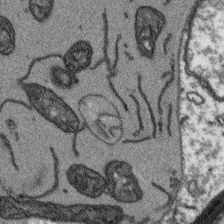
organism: Arabidopsis thaliana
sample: Root tip